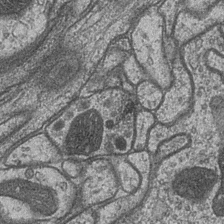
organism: Drosophila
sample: Optic medulla